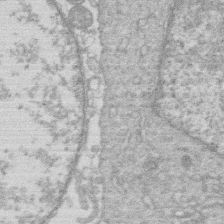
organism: Human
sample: Macrophage cells